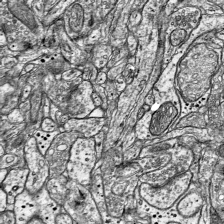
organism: Mouse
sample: Visual Cortex